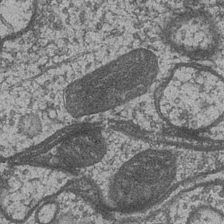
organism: Drosophila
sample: Optic medulla